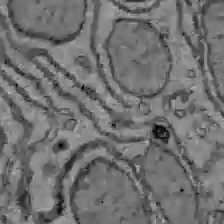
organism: C57BL Mouse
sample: Liver